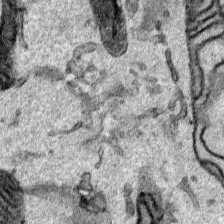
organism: Human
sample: Mitochondria in HCT116 cells